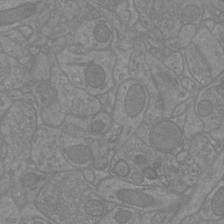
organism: Mouse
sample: Cortical neurons